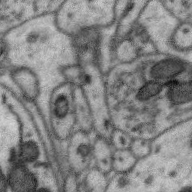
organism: Zebra finch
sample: Brain